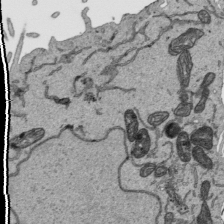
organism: Human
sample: Mitochondria in HCT116 cells